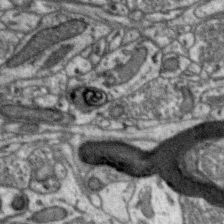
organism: Zebra finch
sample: Brain